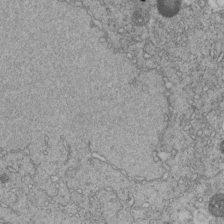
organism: C. elegans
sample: C. elegans embryo early stage